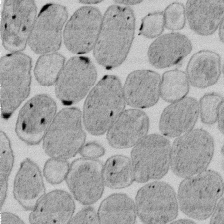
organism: E. coli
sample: Bacterial nucleoid